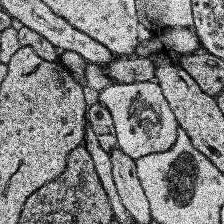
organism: Human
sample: Temporal Lobe